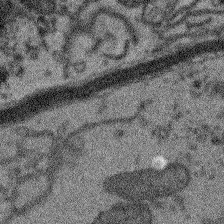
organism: Arabidopsis thaliana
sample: Root tip